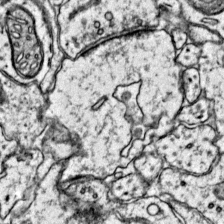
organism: Mouse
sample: Primary visual cortex